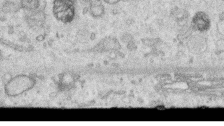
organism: Human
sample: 1205lu cells